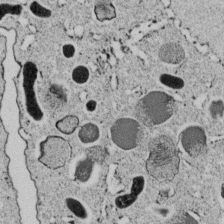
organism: C. elegans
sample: C. elegans embryo early stage